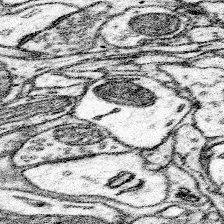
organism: Mouse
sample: Somatosensory cortex neuropil